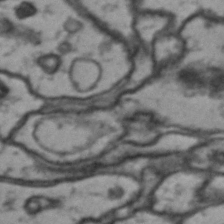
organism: Drosophila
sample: Brain